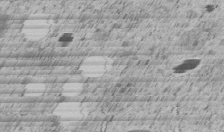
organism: C. elegans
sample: C. elegans embryo early stage